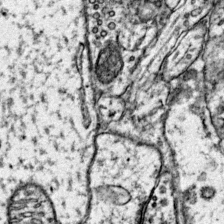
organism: Mouse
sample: Primary visual cortex